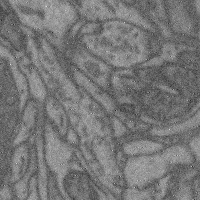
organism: Mouse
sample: Cerebral cortex